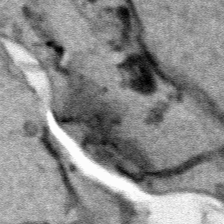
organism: Human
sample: Mitochondria in HCT116 cells